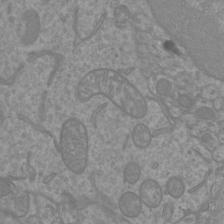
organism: Mouse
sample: Cortical neurons